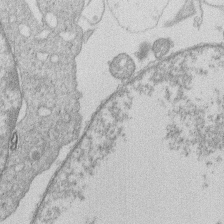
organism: Human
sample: Macrophage cells